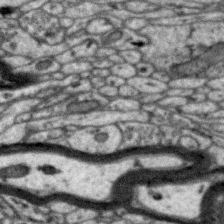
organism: Zebra finch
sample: Brain